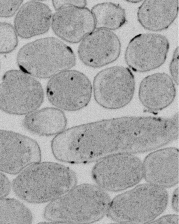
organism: E. coli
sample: Bacterial nucleoid